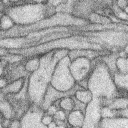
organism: Rabbit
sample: Retina